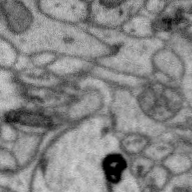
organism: Zebra finch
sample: Brain